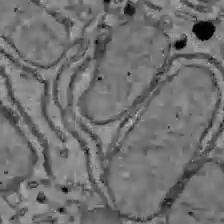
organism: C57BL Mouse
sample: Liver